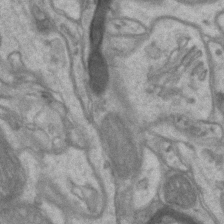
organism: Mouse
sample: CA1 Hippocampus